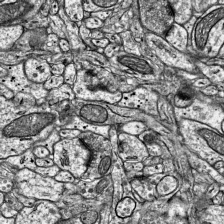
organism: Mouse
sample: Visual Cortex